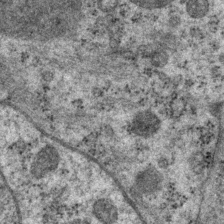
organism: P. pacificus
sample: Pharynx